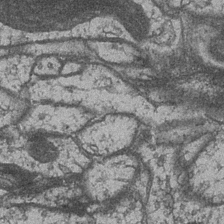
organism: Drosophila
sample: Optic medulla